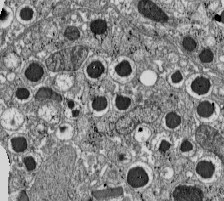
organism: C57BL Mouse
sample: Pancreatic islet